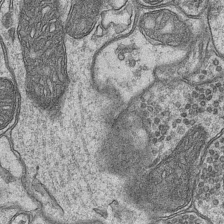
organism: Mouse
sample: CA1 Hippocampus